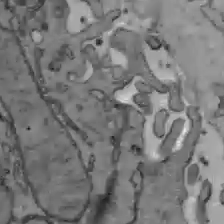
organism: C57BL Mouse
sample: Liver